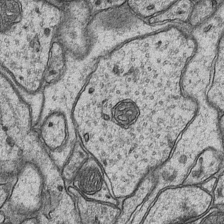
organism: Mouse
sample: CA1 Hippocampus